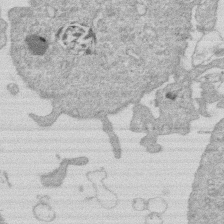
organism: Human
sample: Macrophage cells